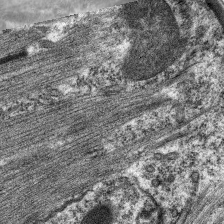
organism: C. elegans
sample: Pharynx